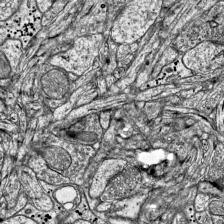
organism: Mouse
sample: Visual Cortex